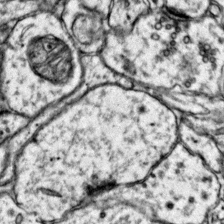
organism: Mouse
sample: Primary visual cortex